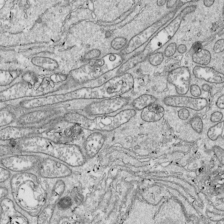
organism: Drosophila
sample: Cell division; meiosis; drosophila spermatocytes